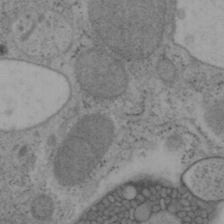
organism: Mouse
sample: OT-I killer T cells with ID8 ovarian cancer cells